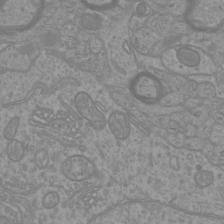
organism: Mouse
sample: Cortical neurons